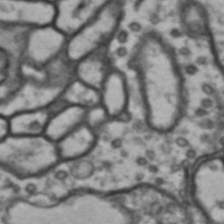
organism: Drosophila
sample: Brain